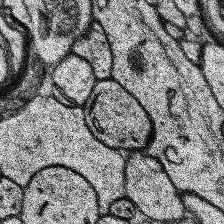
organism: Human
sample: Temporal Lobe